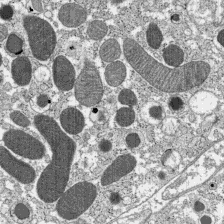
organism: C57BL Mouse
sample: Pancreatic islet